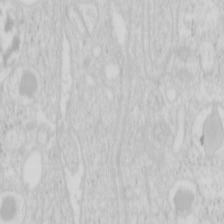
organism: Mouse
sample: Pancreas